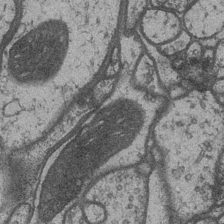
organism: Drosophila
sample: Optic medulla